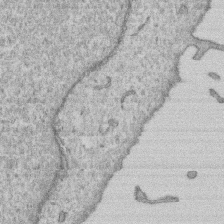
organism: Human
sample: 1205lu cells